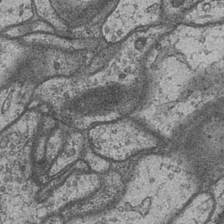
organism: Drosophila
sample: Optic medulla